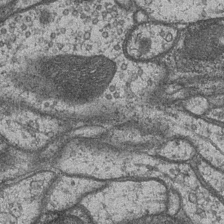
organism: Drosophila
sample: Optic medulla